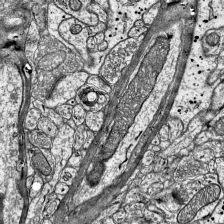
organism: Mouse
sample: Visual Cortex